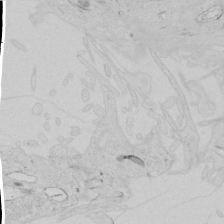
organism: Human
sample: Mitochondria in HCT116 cells